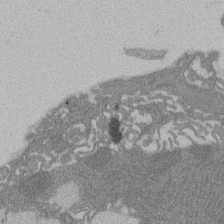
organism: Rat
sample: Salivary granule